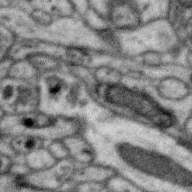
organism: Zebra finch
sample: Brain